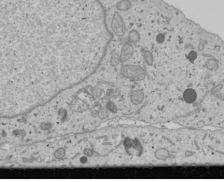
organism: Human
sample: Mitochondria in U2OS cells